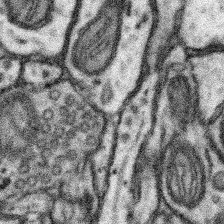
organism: Mouse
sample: Somatosensory cortex neuropil